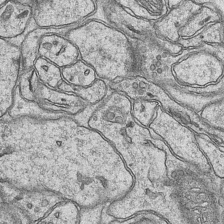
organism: Mouse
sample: CA1 Hippocampus